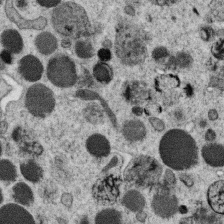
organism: C. elegans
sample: C. elegans oocyte; sperm cells